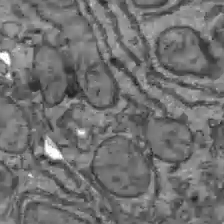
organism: C57BL Mouse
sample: Liver